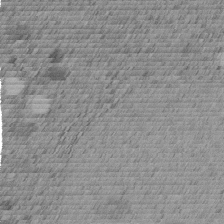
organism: C. elegans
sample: C. elegans embryo early stage